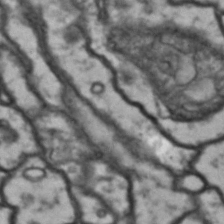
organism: Drosophila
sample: Brain